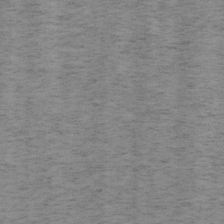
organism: Mouse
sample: OT-I killer T cells with ID8 ovarian cancer cells